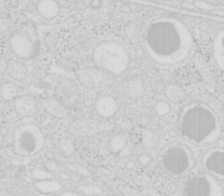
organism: Mouse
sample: Pancreas